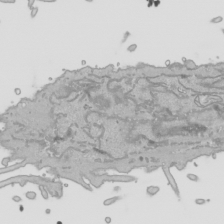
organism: Human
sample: Mitochondria in HCT116 cells